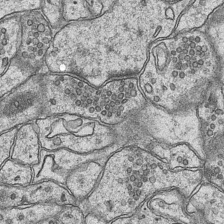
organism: Mouse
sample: CA1 Hippocampus